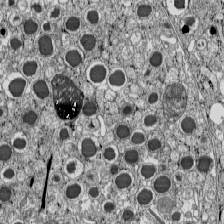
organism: C57BL Mouse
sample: Pancreatic islet